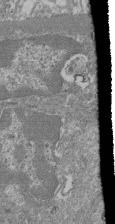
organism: Mouse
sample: Glomerulus